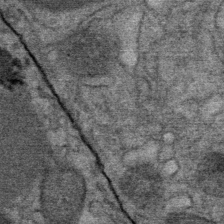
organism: Mouse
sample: Mouse Salivary gland